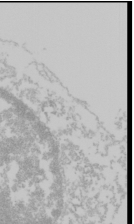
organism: Mouse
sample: Cancer cell death in ED-1 cells